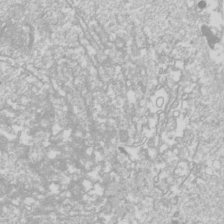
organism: Drosophila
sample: Cell division; meiosis; drosophila spermatocytes